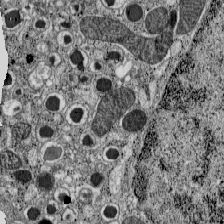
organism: C57BL Mouse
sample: Pancreatic islet